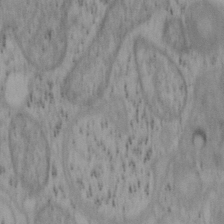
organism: Mouse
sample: OT-I killer T cells with ID8 ovarian cancer cells